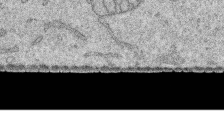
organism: Human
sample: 1205lu cells